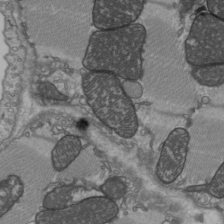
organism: C57BL Mouse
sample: Heart